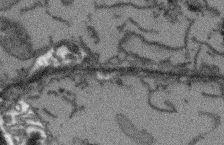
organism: Arabidopsis thaliana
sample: Root tip